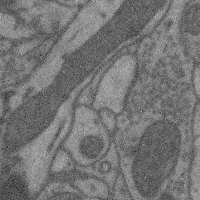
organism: Mouse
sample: Cerebral cortex